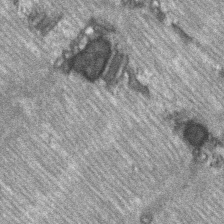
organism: C57BL Mouse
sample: Soleus